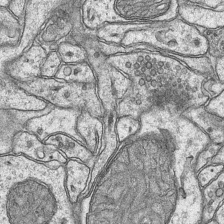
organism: Mouse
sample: CA1 Hippocampus